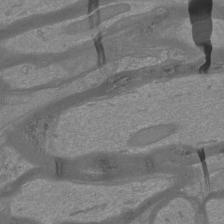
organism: Mouse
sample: Cortical neurons